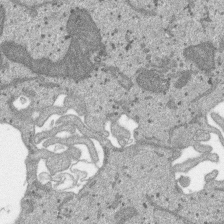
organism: Human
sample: Lung epithelial cells infected with SARS-CoV-2